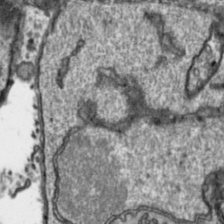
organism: Toxoplasma gondii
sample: Parasites in a vacuole inside a host cell